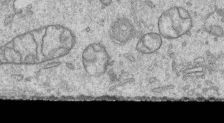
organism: Human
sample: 1205lu cells